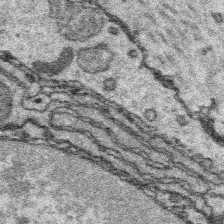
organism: Platynereis dumerilii